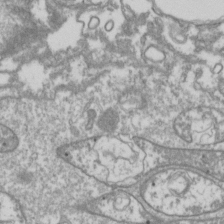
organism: Drosophila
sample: Cell division; meiosis; drosophila spermatocytes